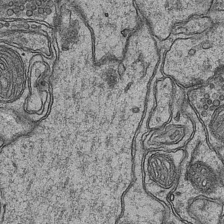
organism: Mouse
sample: CA1 Hippocampus